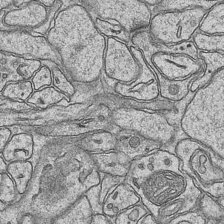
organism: Mouse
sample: CA1 Hippocampus